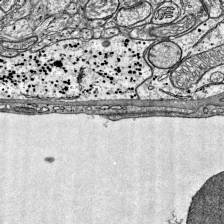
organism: Mouse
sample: Visual Cortex